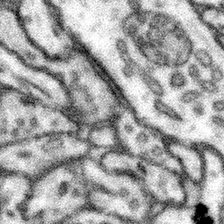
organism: Mouse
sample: Somatosensory cortex neuropil